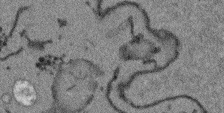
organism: Arabidopsis thaliana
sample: Root tip